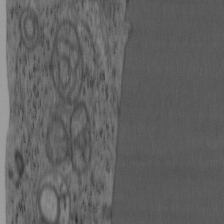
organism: Human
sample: HeLa cells